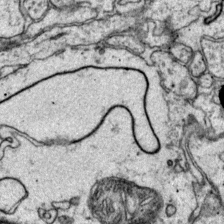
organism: Mouse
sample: Primary visual cortex